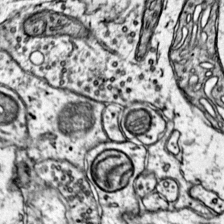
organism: Mouse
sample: Primary visual cortex